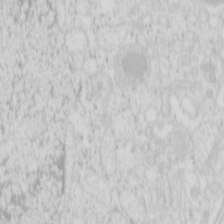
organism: Mouse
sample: Pancreas